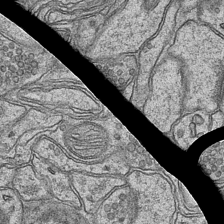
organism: Mouse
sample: CA1 Hippocampus